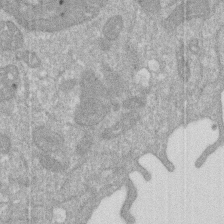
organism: Human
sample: HIV infected U937 cells